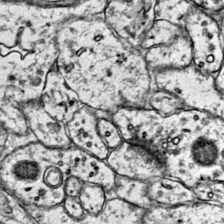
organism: Mouse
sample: Primary visual cortex